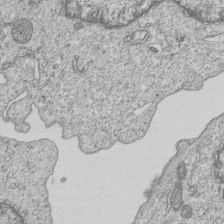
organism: Human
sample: MDA-MB-231 cells